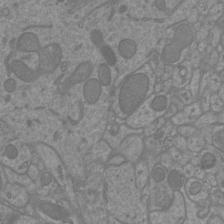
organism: Mouse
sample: Cortical neurons